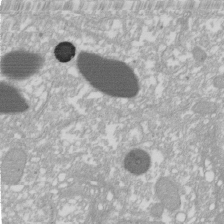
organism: Xenopus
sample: Cilia; centrioles in frog embryo cells